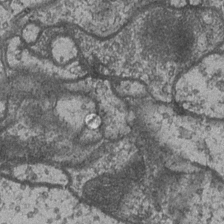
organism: Drosophila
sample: Optic medulla